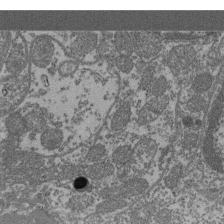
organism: Mouse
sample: Glomerulus